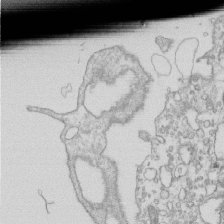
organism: Mouse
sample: Macrophages